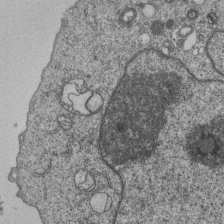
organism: Human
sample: MDA-MB-231 cells